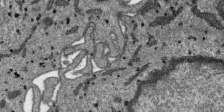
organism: Human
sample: Lung epithelial cells, uninfected (mock) control